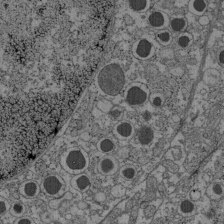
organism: C57BL Mouse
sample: Pancreatic islet